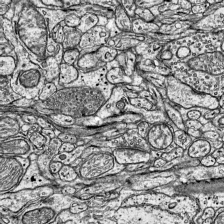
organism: Mouse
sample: Visual Cortex